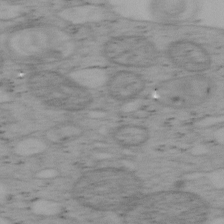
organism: Mouse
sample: OT-I killer T cells with ID8 ovarian cancer cells